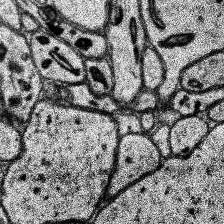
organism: Human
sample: Temporal Lobe